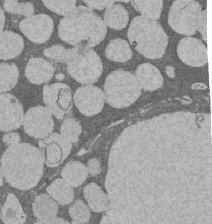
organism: Rat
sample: Salivary granule